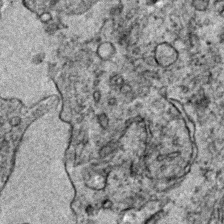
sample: Trachea